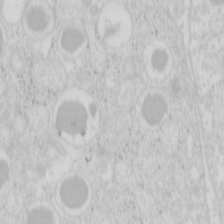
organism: Mouse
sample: Pancreas